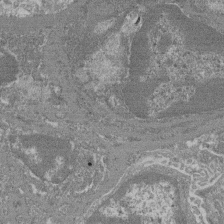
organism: Mouse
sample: Glomerulus